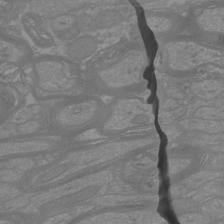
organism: Mouse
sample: Cortical neurons